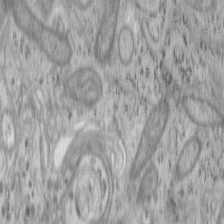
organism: Human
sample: HeLa cells